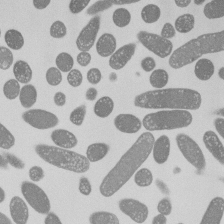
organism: E. coli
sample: Bacterial nucleoid